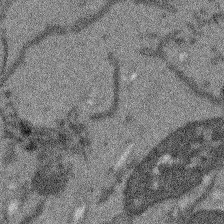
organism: Arabidopsis thaliana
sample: Root tip